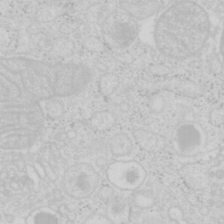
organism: Mouse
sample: Pancreas